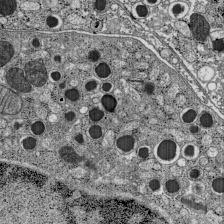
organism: C57BL Mouse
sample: Pancreatic islet